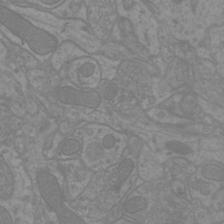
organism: Mouse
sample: Cortical neurons